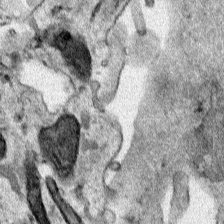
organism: Human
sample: Mitochondria in HCT116 cells